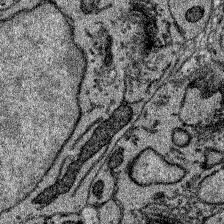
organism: Zebrafish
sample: Larval olfactory bulb